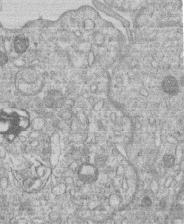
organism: Human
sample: Macrophage cells